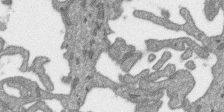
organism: Human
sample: Lung epithelial cells infected with SARS-CoV-2